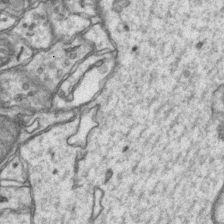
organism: Mouse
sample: CA1 Hippocampus